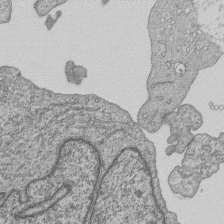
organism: Human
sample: MDA-MB-231 cells